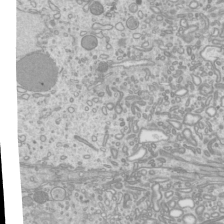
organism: Mouse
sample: Cilia; mouse epididymis